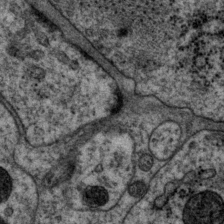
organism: P. pacificus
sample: Pharynx